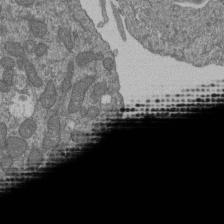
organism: Human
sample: Retinal organoid Rod and Cone cells